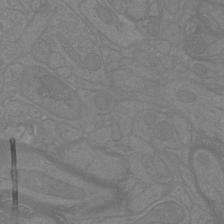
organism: Mouse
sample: Cortical neurons